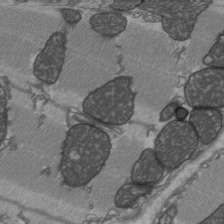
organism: C57BL Mouse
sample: Heart